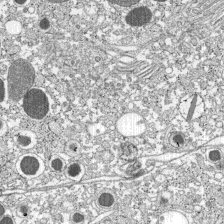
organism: C57BL Mouse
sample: Pancreatic islet